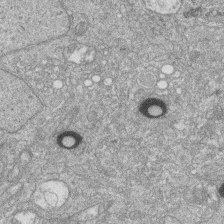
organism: Human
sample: HeLa cell HIV synapse